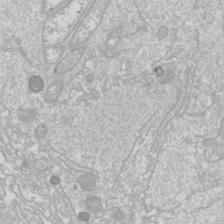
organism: Drosophila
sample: Cell division; meiosis; drosophila spermatocytes